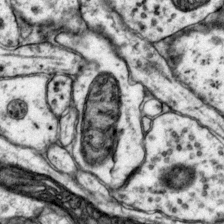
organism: Mouse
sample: Primary visual cortex